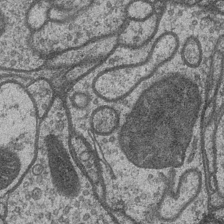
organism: Drosophila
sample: Optic medulla